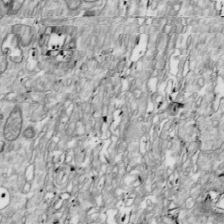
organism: Drosophila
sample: Cell division; meiosis; drosophila spermatocytes